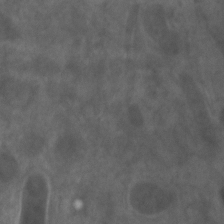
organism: Zebrafish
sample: Zebrafish embryo